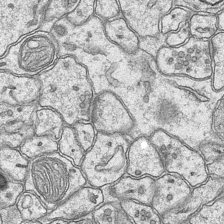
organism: Mouse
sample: CA1 Hippocampus